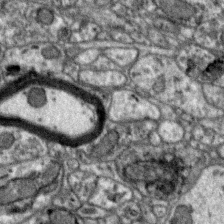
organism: Zebra finch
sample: Brain